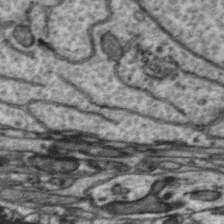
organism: Zebra finch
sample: Brain